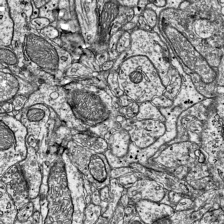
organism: Mouse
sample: Visual Cortex